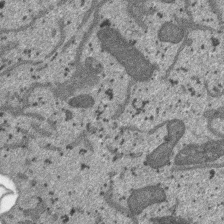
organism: Human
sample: Lung epithelial cells infected with SARS-CoV-2